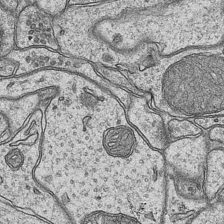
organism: Mouse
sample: CA1 Hippocampus